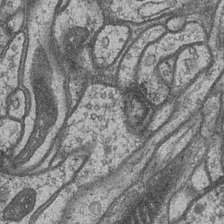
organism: Drosophila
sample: Optic medulla